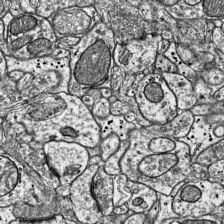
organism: Mouse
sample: Visual Cortex